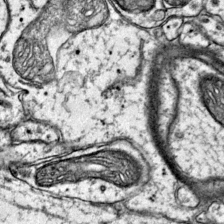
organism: Mouse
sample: Primary visual cortex